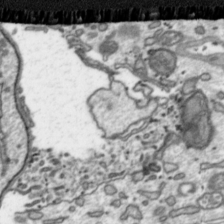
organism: Toxoplasma gondii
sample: Parasites in a vacuole inside a host cell